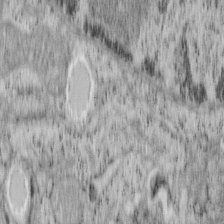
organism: Human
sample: HeLa cells